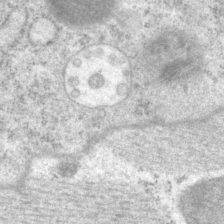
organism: P. pacificus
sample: Pharynx